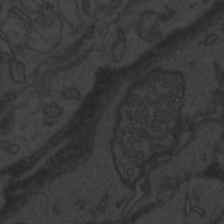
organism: Zebrafish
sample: Macrophage infected with Toxoplasma gondii